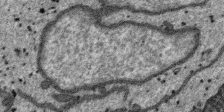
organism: Human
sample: Lung epithelial cells, uninfected (mock) control